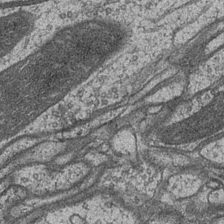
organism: Drosophila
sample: Optic medulla